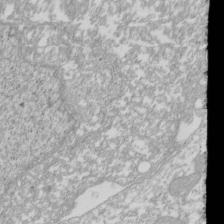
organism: Xenopus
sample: Cilia; centrioles in frog embryo cells